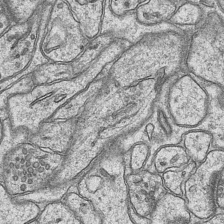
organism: Mouse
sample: CA1 Hippocampus